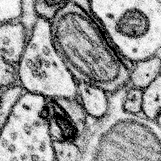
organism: Mouse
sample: Somatosensory cortex neuropil